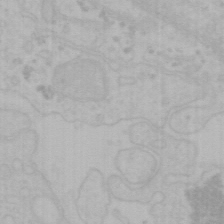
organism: Mouse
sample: Choroid plexus